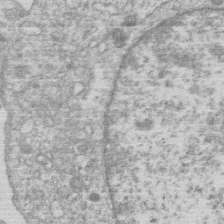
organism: Human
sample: Macrophage cells